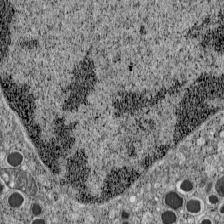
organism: C57BL Mouse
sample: Pancreatic islet